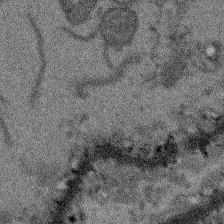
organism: Arabidopsis thaliana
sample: Root tip